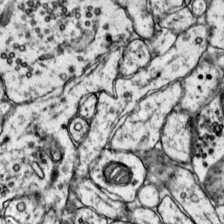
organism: Mouse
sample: Primary visual cortex